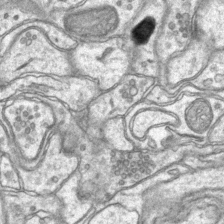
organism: Mouse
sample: CA1 Hippocampus